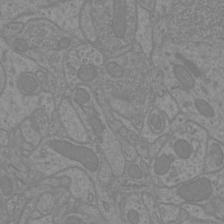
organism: Mouse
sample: Cortical neurons